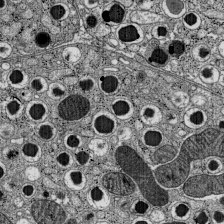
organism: C57BL Mouse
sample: Pancreatic islet